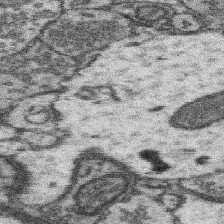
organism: Mouse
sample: Somatosensory cortex neuropil